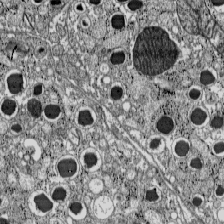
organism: C57BL Mouse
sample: Pancreatic islet